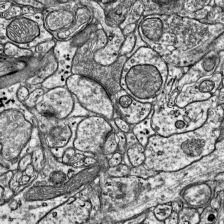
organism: Mouse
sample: Visual Cortex